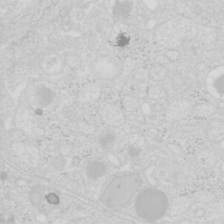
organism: Mouse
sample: Pancreas